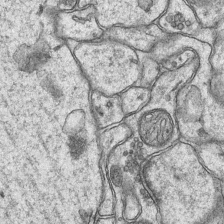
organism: Mouse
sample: CA1 Hippocampus